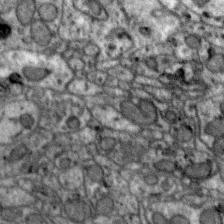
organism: Zebra finch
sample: Brain